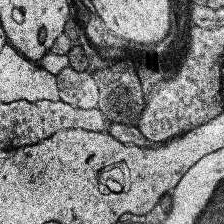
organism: Human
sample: Temporal Lobe